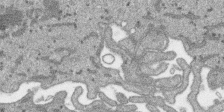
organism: Human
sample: Lung epithelial cells infected with SARS-CoV-2